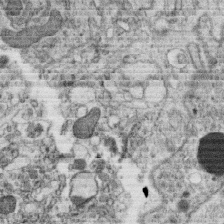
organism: C. elegans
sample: C. elegans oocyte; sperm cells